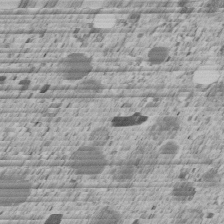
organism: C. elegans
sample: C. elegans embryo early stage